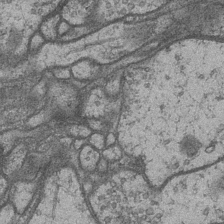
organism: Drosophila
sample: Optic medulla